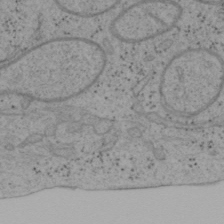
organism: Human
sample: HeLa cells